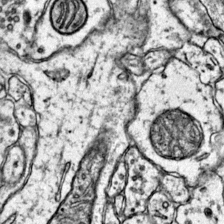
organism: Mouse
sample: Primary visual cortex